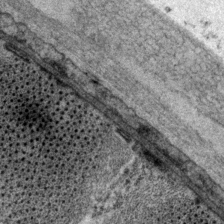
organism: P. pacificus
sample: Pharynx